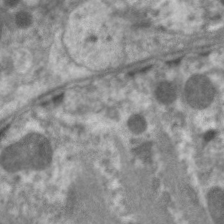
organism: C. elegans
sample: Pharynx